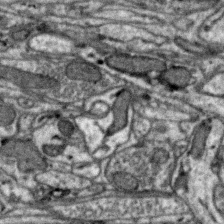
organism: Zebra finch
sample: Brain